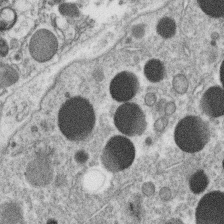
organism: C. elegans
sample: C. elegans oocyte; sperm cells